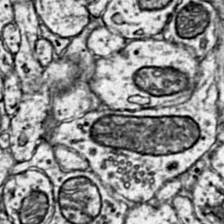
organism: Mouse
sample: Primary visual cortex